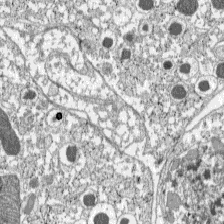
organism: C57BL Mouse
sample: Pancreatic islet